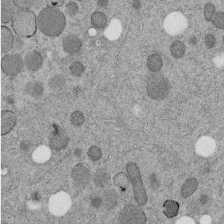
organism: C. elegans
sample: C. elegans embryo early stage